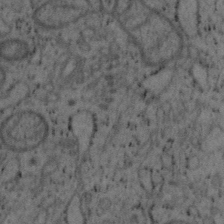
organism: Human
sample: HeLa cells